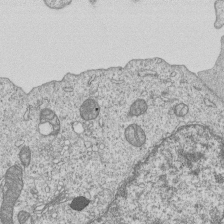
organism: Human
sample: MDA-MB-231 cells